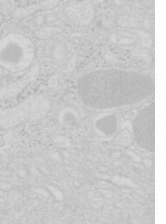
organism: Mouse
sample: Pancreas